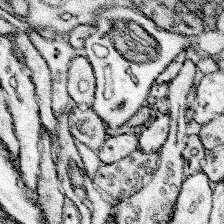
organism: Mouse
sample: Somatosensory cortex neuropil